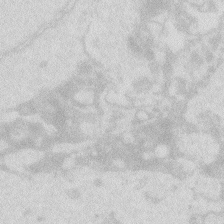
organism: Zebrafish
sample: Macrophage